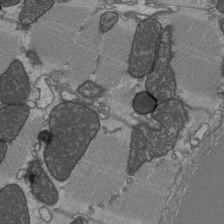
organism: C57BL Mouse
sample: Heart